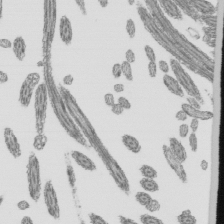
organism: Mouse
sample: Mouse epididymis efferent ductule cilia